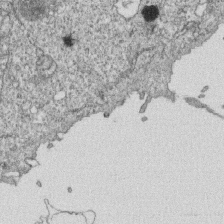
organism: Human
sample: HeLa cell HIV synapse